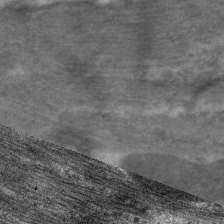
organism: C. elegans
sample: Pharynx